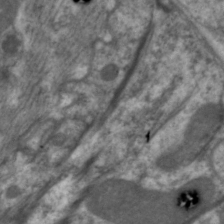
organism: C. elegans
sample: Pharynx